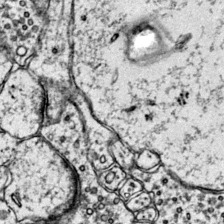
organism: Mouse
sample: Primary visual cortex